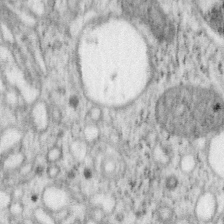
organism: Mouse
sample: OT-I killer T cells with ID8 ovarian cancer cells